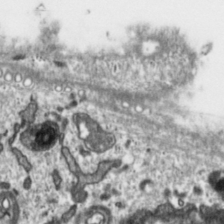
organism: Toxoplasma gondii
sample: Parasites in a vacuole inside a host cell